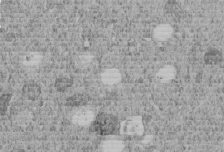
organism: C. elegans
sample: C. elegans embryo early stage